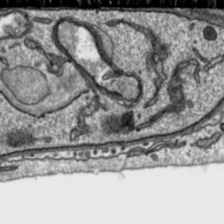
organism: Toxoplasma gondii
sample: Parasites in a vacuole inside a host cell